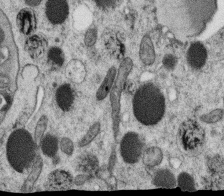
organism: C. elegans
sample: C. elegans oocyte; sperm cells